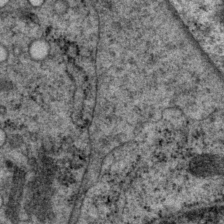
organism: P. pacificus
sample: Pharynx